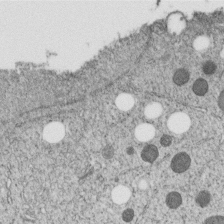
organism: C. elegans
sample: C. elegans embryo early stage